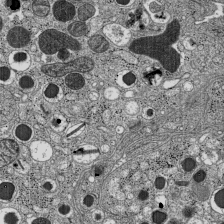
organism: C57BL Mouse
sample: Pancreatic islet